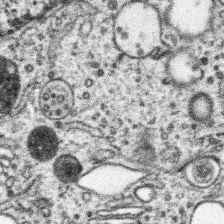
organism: Human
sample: HeLa cells